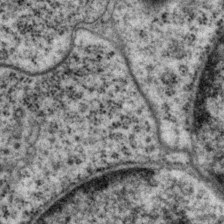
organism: P. pacificus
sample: Pharynx